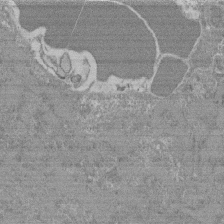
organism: Mouse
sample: Glomerulus